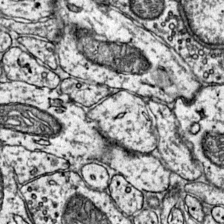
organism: Mouse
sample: Primary visual cortex